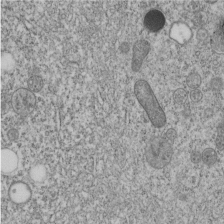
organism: C. elegans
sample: C. elegans embryo early stage